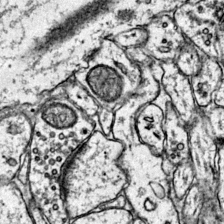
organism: Mouse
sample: Primary visual cortex